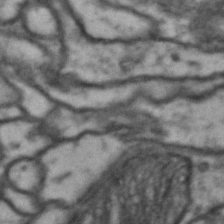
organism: Drosophila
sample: Brain